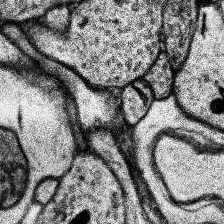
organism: Human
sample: Temporal Lobe